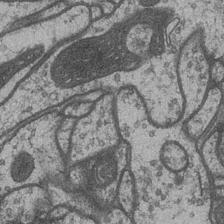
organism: Drosophila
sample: Optic medulla